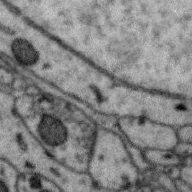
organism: Zebra finch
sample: Brain